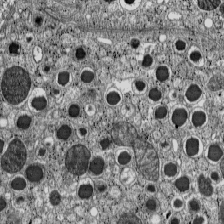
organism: C57BL Mouse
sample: Pancreatic islet